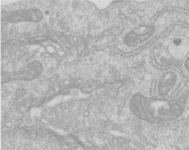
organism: Human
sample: Centriole in RPE cells